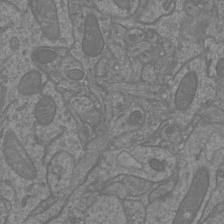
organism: Mouse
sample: Cortical neurons